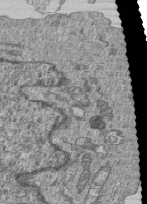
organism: Human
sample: MDA-MB-231 cells